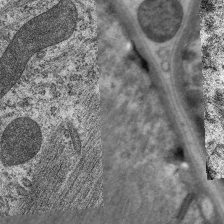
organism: C. elegans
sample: Pharynx